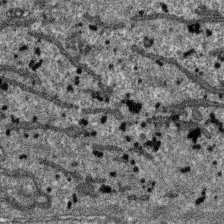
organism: Human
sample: Lung epithelial cells infected with SARS-CoV-2